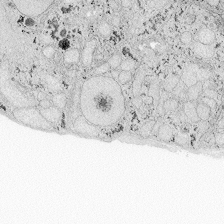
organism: Zebrafish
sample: Whole-Brain